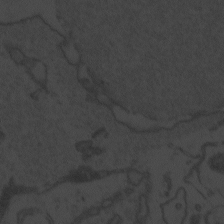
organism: Zebrafish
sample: Macrophage infected with Toxoplasma gondii